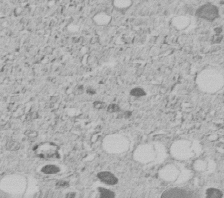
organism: C. elegans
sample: C. elegans embryo early stage